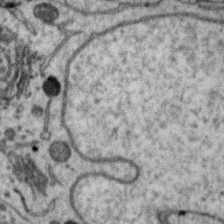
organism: Zebra finch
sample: Brain